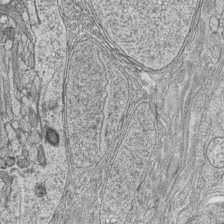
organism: Zebrafish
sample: synaptic ribbons in rod cells and cone cells